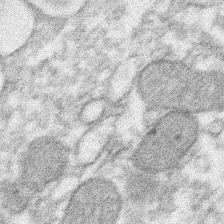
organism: Xenopus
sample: Cilia; centrioles in frog embryo cells